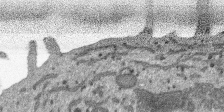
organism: Human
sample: Lung epithelial cells infected with SARS-CoV-2